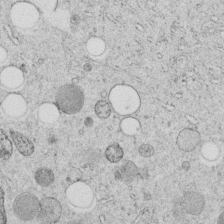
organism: C. elegans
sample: C. elegans embryo early stage